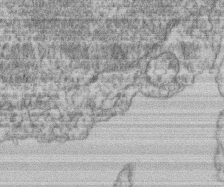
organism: Mouse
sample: T cell stromal cell synapse